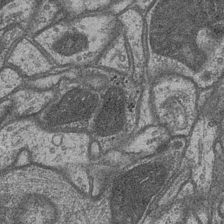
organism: Drosophila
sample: Optic medulla